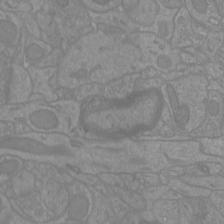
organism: Mouse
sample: Cortical neurons